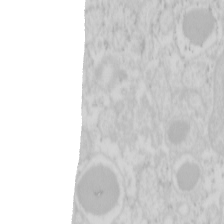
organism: Mouse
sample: Pancreas